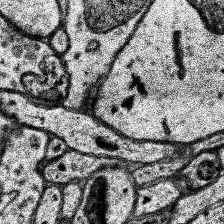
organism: Human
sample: Temporal Lobe